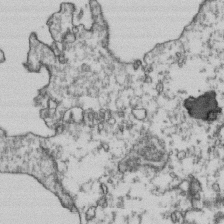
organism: Human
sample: Activated Jurkat CD4+ T cells